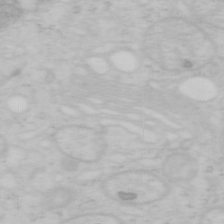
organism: Mouse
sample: OT-I killer T cells with ID8 ovarian cancer cells